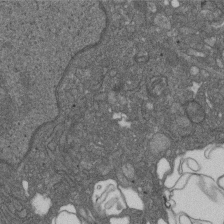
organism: Drosophila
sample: Nephrocyte